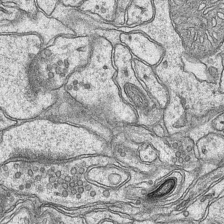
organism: Mouse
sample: CA1 Hippocampus